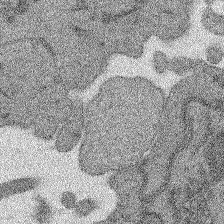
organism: Human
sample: HeLa cells